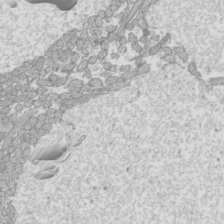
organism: Mouse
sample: Cilia; mouse epididymis